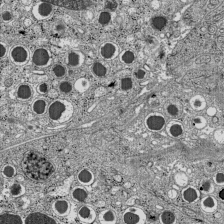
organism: C57BL Mouse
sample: Pancreatic islet